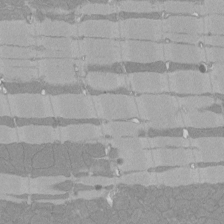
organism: Rat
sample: Left ventricle